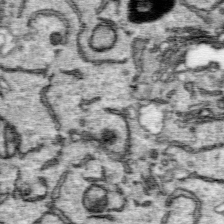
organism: Human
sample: HeLa cells